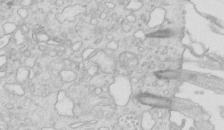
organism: Mouse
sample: Multiciliated cells